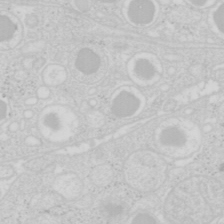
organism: Mouse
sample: Pancreas